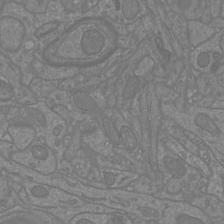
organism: Mouse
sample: Cortical neurons